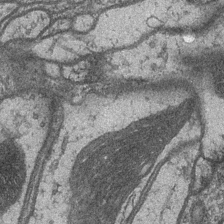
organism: Drosophila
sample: Optic medulla